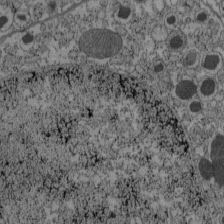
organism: C57BL Mouse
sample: Pancreatic islet